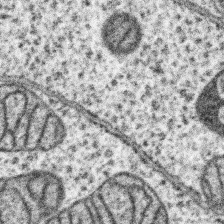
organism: Human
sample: HeLa cells